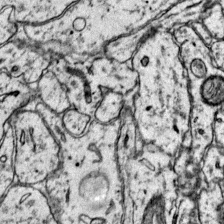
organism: Mouse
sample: Primary visual cortex